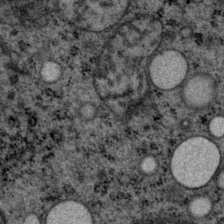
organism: P. pacificus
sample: Pharynx